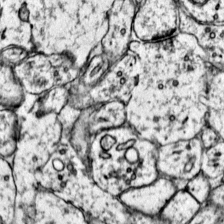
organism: Mouse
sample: Primary visual cortex